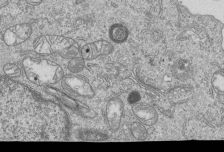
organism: Human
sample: MDA-MB-231 cells